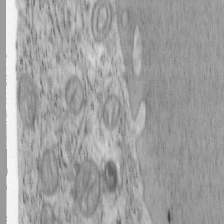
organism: Human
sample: HeLa cells